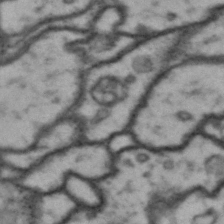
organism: Drosophila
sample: Brain